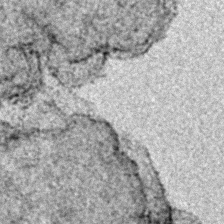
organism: E. coli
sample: E. Coli Bacteria